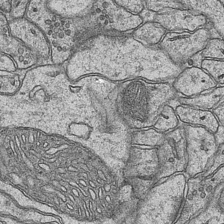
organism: Mouse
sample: CA1 Hippocampus